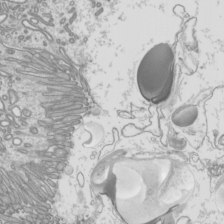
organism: Mouse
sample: Cilia; mouse epididymis